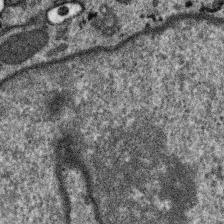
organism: Human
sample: Lung epithelial cells infected with SARS-CoV-2